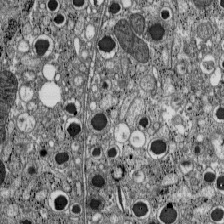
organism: C57BL Mouse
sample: Pancreatic islet